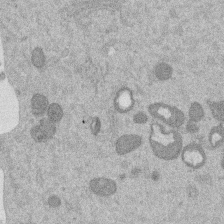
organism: Mouse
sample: Dividing mouse embryo 1 cell stage